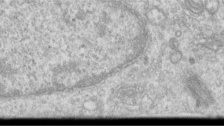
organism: Human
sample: Centriole in RPE cells